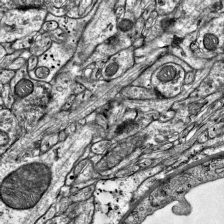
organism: Mouse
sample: Visual Cortex